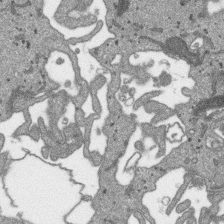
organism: Human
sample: Lung epithelial cells infected with SARS-CoV-2